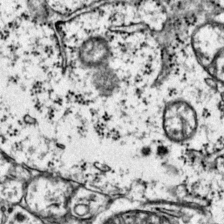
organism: Mouse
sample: Primary visual cortex